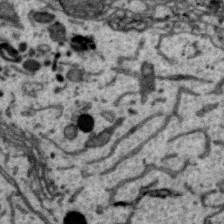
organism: Zebra finch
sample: Brain